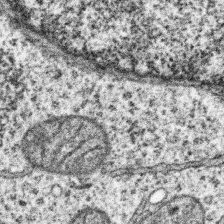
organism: Human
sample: HeLa cells